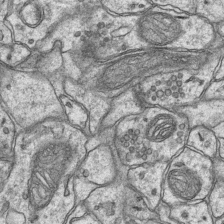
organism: Mouse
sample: CA1 Hippocampus